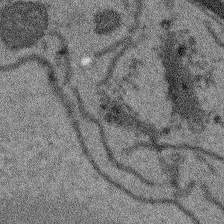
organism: Arabidopsis thaliana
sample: Root tip